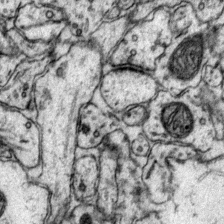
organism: Mouse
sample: Primary visual cortex